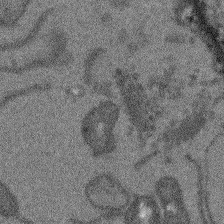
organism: Arabidopsis thaliana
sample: Root tip